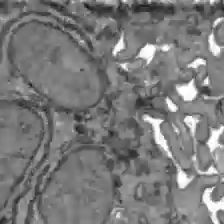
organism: C57BL Mouse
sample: Liver